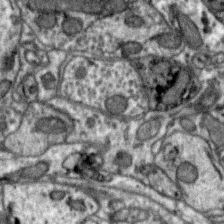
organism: Zebra finch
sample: Brain